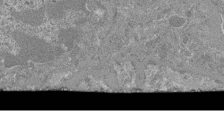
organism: Mouse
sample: Glomerulus